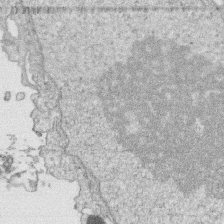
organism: Human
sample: HeLa cell HIV synapse